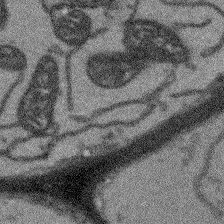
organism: Arabidopsis thaliana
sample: Root tip